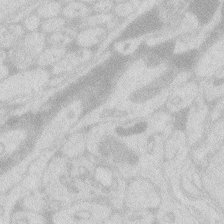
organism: Zebrafish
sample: Macrophage